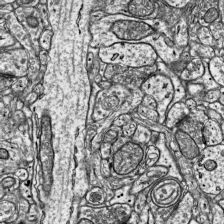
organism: Mouse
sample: Visual Cortex